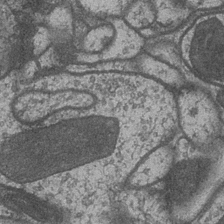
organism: Drosophila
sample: Optic medulla